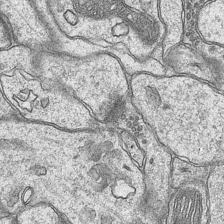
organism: Mouse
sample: CA1 Hippocampus